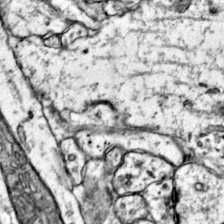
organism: Mouse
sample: Primary visual cortex